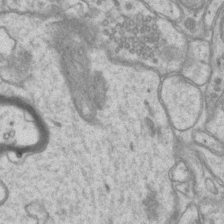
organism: Mouse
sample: CA1 Hippocampus